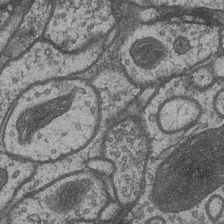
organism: Drosophila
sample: Optic medulla